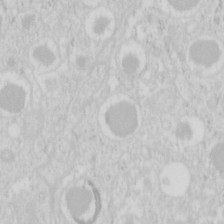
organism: Mouse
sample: Pancreas